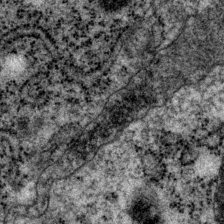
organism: P. pacificus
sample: Pharynx